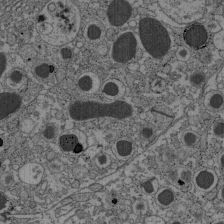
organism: C57BL Mouse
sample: Pancreatic islet